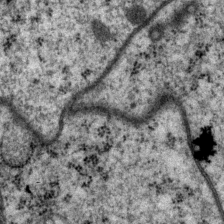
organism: P. pacificus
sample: Pharynx